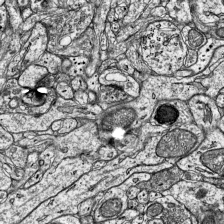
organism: Mouse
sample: Visual Cortex